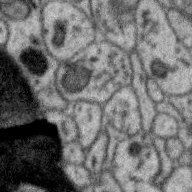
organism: Zebra finch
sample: Brain